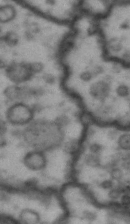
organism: Drosophila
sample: Brain